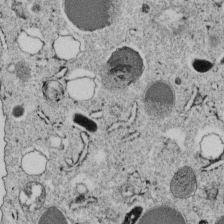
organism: C. elegans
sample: C. elegans embryo early stage